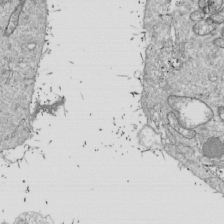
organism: Drosophila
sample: Cell division; meiosis; drosophila spermatocytes